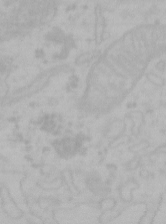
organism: Mouse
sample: Choroid plexus